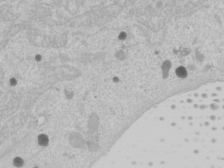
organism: Human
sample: Mitochondria in U2OS cells